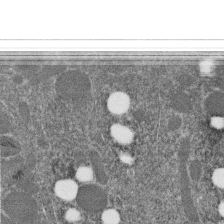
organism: C. elegans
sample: C. elegans embryo early stage